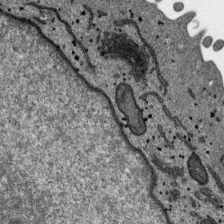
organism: Human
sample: Lung epithelial cells, uninfected (mock) control